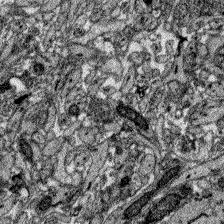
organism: Zebrafish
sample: Larval olfactory bulb